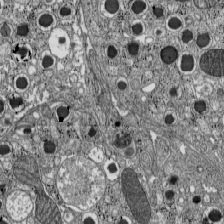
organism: C57BL Mouse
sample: Pancreatic islet